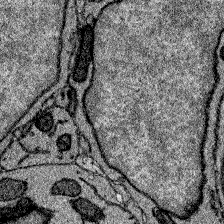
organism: Zebrafish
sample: Larval olfactory bulb